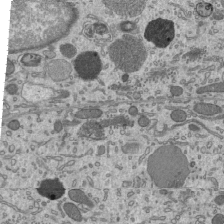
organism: Mouse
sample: Mouse epididymis efferent ductule cilia